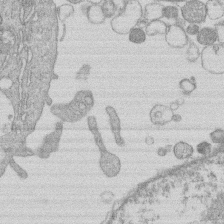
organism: Human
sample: Macrophage cells